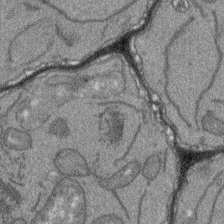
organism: Arabidopsis thaliana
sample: Root tip